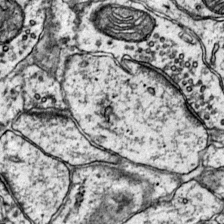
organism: Mouse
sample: Primary visual cortex